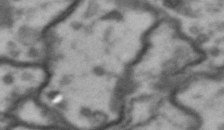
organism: Drosophila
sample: Brain